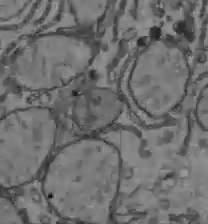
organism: C57BL Mouse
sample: Liver